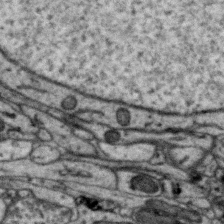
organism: Zebra finch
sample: Brain